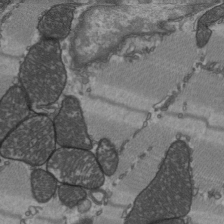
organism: C57BL Mouse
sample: Heart